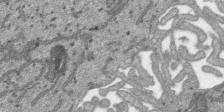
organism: Human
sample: Lung epithelial cells infected with SARS-CoV-2